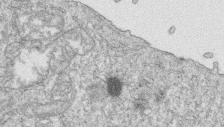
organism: Human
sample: HeLa cell HIV synapse